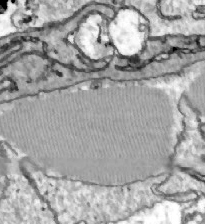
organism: Zebrafish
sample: Actinotrichia fibers